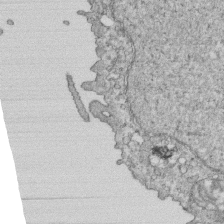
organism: Human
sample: HeLa cell HIV synapse